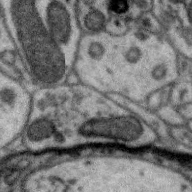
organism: Zebra finch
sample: Brain